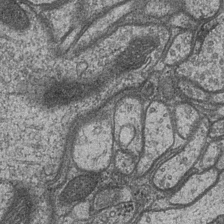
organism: Drosophila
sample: Optic medulla